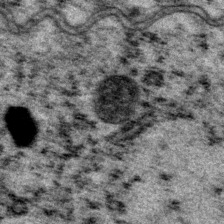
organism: P. pacificus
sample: Pharynx